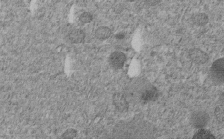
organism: C. elegans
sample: C. elegans embryo early stage